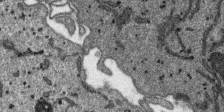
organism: Human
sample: Lung epithelial cells infected with SARS-CoV-2